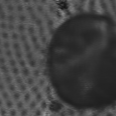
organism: C57BL Mouse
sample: Heart